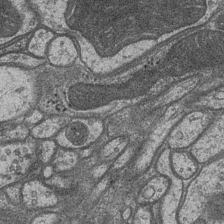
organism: Drosophila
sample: Optic medulla